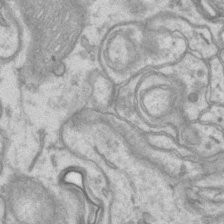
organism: Mouse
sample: CA1 Hippocampus